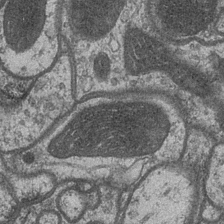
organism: Drosophila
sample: Optic medulla